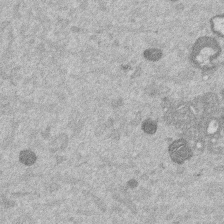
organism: Mouse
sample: Dividing mouse embryo 1 cell stage